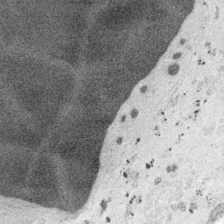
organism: Embia sp.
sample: Silk gland